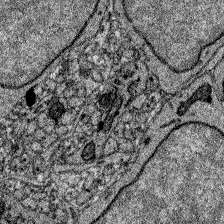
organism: Zebrafish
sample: Larval olfactory bulb